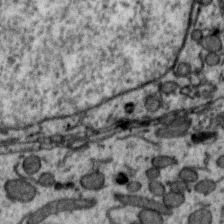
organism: Zebra finch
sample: Brain